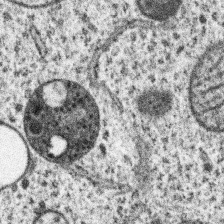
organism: Human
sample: HeLa cells